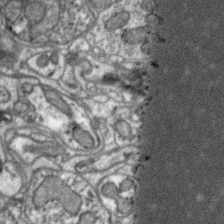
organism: Zebra finch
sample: Brain